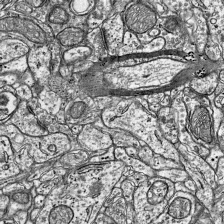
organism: Mouse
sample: Visual Cortex